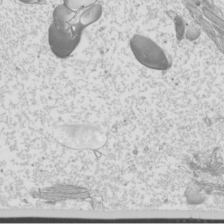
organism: Mouse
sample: Cilia; mouse epididymis